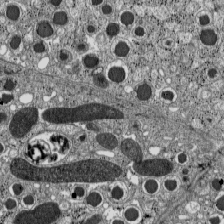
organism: C57BL Mouse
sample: Pancreatic islet